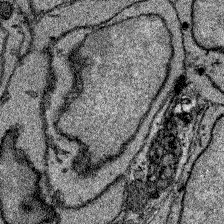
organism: Zebrafish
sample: Larval olfactory bulb